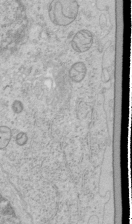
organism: Human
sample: Mitochondria in HCT116 cells